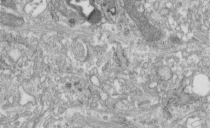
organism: Human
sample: Centriole in fibroblast cells